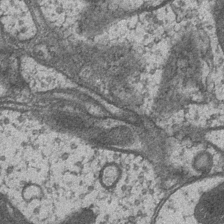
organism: Drosophila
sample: Optic medulla